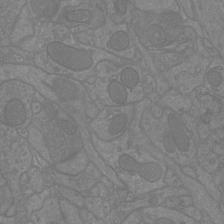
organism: Mouse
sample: Cortical neurons